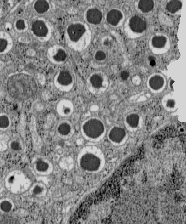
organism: C57BL Mouse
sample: Pancreatic islet